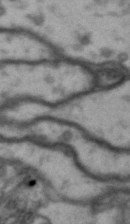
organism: Drosophila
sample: Brain